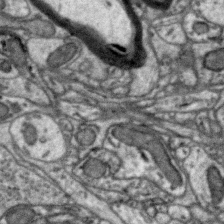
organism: Zebra finch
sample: Brain